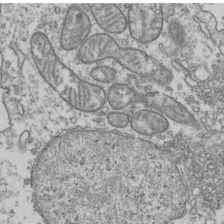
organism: Human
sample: Activated Jurkat CD4+ T cells